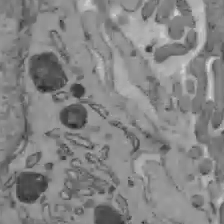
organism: C57BL Mouse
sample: Liver